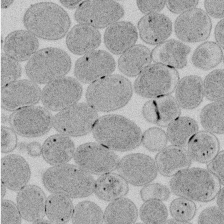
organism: E. coli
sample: Bacterial nucleoid